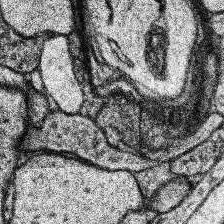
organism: Human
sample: Temporal Lobe